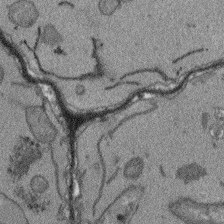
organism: Arabidopsis thaliana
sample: Root tip